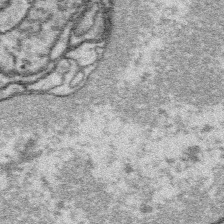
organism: Platynereis dumerilii